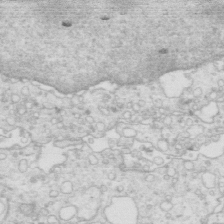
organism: Mouse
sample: Multiciliated cells